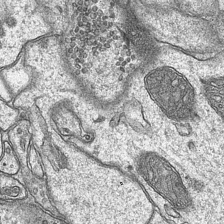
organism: Mouse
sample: CA1 Hippocampus